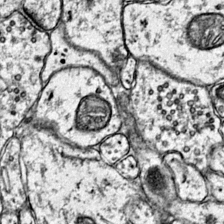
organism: Mouse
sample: Primary visual cortex